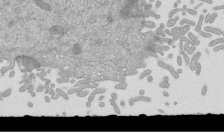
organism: Mouse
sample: ED-1 cell nuclei; centrioles